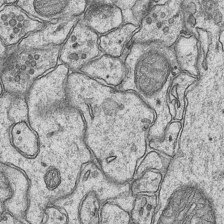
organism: Mouse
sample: CA1 Hippocampus